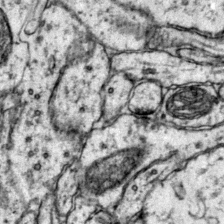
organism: Mouse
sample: Primary visual cortex